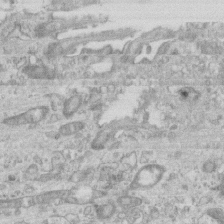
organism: Mouse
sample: Centriole in ependymal cells